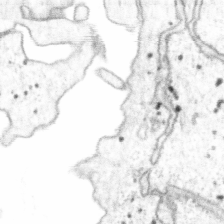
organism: Human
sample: HeLa cells